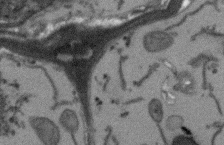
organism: Arabidopsis thaliana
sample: Root tip